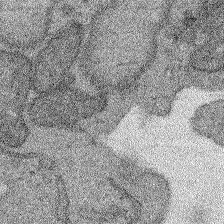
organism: Human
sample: HeLa cells